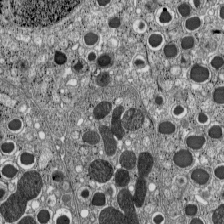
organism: C57BL Mouse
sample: Pancreatic islet